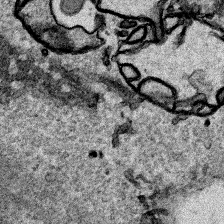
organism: Human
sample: Mitochondria in HCT116 cells